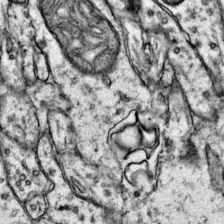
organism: Mouse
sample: Primary visual cortex